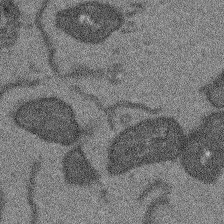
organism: Arabidopsis thaliana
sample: Root tip